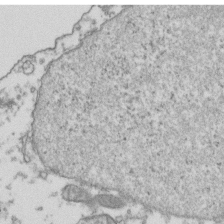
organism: Human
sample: Activated Jurkat CD4+ T cells